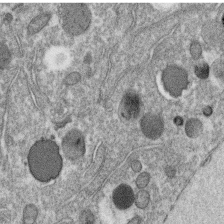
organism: C. elegans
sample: C. elegans oocyte; sperm cells